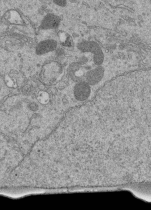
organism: Human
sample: Retinal organoid Rod and Cone cells